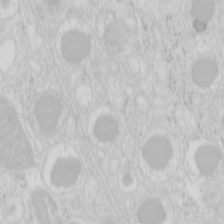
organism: Mouse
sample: Pancreas